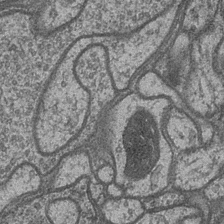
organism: Drosophila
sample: Optic medulla